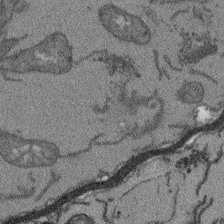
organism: Arabidopsis thaliana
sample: Root tip